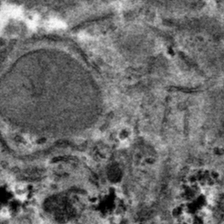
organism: Mouse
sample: Mouse hepatocytes